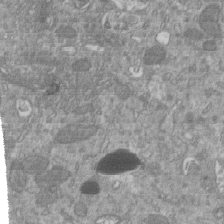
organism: Mouse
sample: ED-1 cell nuclei; centrioles